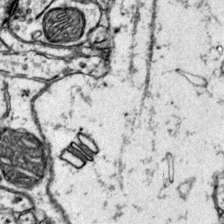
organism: Mouse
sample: Primary visual cortex